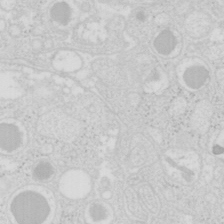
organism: Mouse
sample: Pancreas